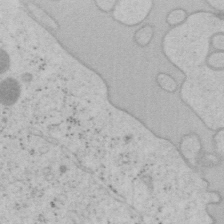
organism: Human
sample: HeLa cells